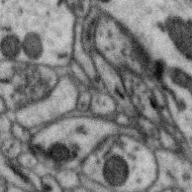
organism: Zebra finch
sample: Brain